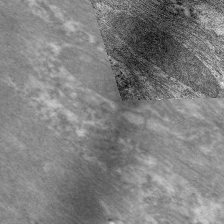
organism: C. elegans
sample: Pharynx